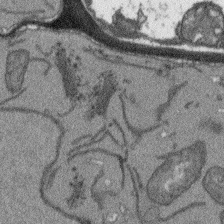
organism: Arabidopsis thaliana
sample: Root tip